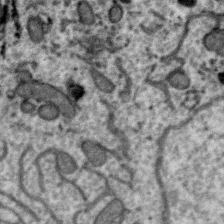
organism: Zebra finch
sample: Brain